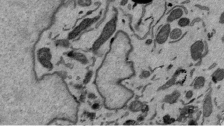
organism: Mouse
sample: ED-1 cell nuclei; centrioles